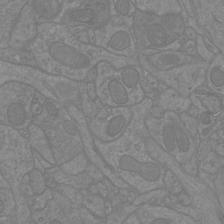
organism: Mouse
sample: Cortical neurons